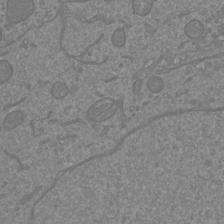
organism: Mouse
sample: Cortical neurons